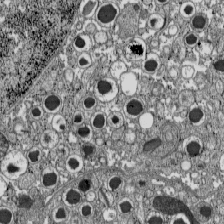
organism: C57BL Mouse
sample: Pancreatic islet